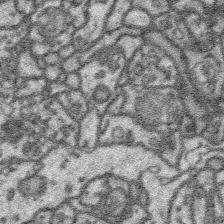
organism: Platynereis dumerilii